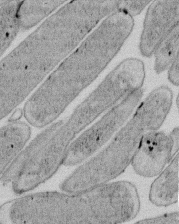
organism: E. coli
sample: Bacterial nucleoid